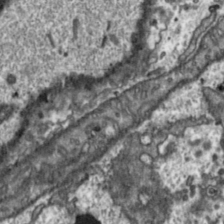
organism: Toxoplasma gondii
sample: Parasites in a vacuole inside a host cell